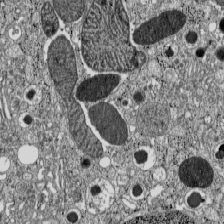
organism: C57BL Mouse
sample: Pancreatic islet